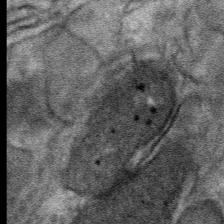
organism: Mouse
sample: Mouse Salivary gland